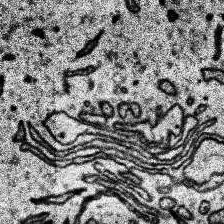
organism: Human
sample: Temporal Lobe